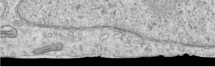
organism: Human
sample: Centriole in RPE cells